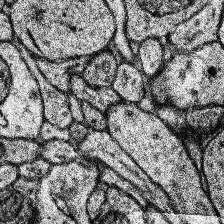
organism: Human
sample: Temporal Lobe